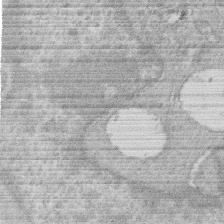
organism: Human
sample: Macrophage cells